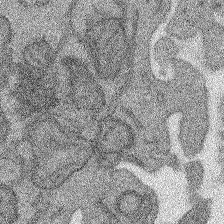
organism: Human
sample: HeLa cells